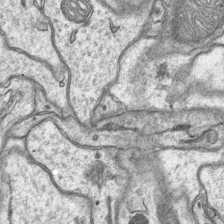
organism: Mouse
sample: CA1 Hippocampus